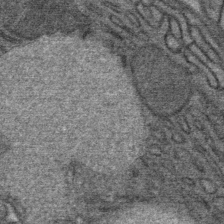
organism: Mouse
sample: Mouse Salivary gland